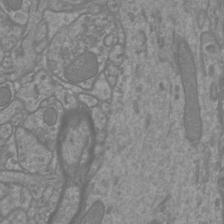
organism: Mouse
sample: Cortical neurons